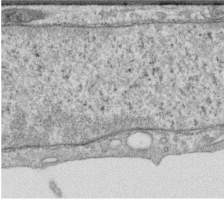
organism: Human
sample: Centriole in RPE cells